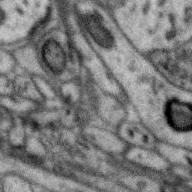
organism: Zebra finch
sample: Brain